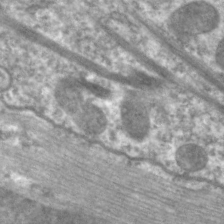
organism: C. elegans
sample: Pharynx